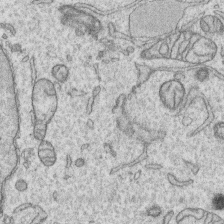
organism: Human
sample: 1205lu cells